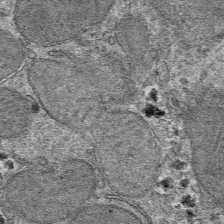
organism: Mouse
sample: Mouse hepatocytes